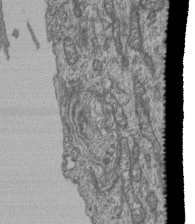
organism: Human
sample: Retinal organoid Rod and Cone cells